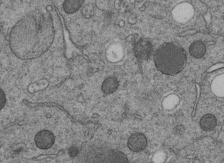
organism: C. elegans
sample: C. elegans embryo early stage